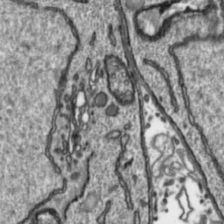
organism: Toxoplasma gondii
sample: Parasites in a vacuole inside a host cell